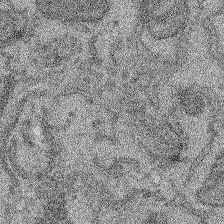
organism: Human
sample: HeLa cells